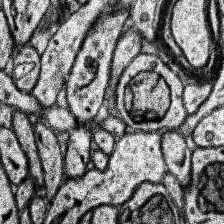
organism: Human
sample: Temporal Lobe